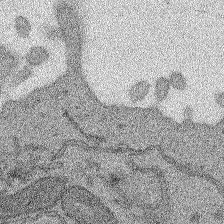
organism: Human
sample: HeLa cells